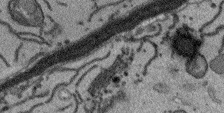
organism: Arabidopsis thaliana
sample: Root tip